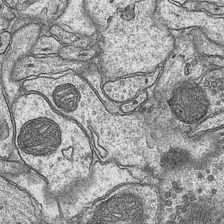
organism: Mouse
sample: CA1 Hippocampus